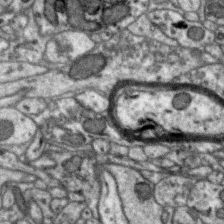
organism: Zebra finch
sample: Brain